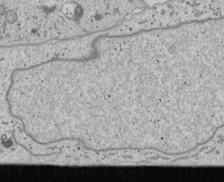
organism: Human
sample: Mitochondria in U2OS cells